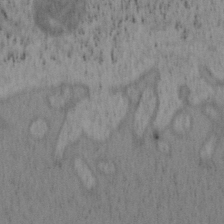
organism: Mouse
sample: OT-I killer T cells with ID8 ovarian cancer cells